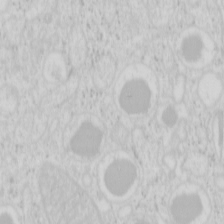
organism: Mouse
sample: Pancreas